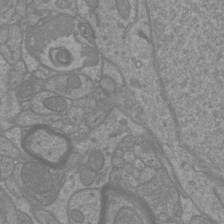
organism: Mouse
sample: Cortical neurons